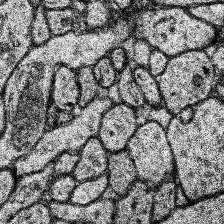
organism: Human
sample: Temporal Lobe